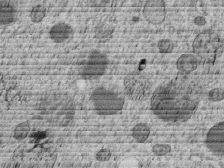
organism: C. elegans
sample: C. elegans embryo early stage